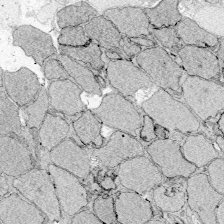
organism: Zebrafish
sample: Whole-Brain